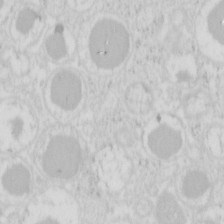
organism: Mouse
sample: Pancreas